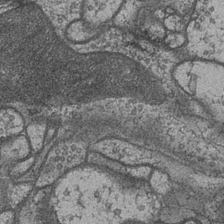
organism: Drosophila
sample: Optic medulla